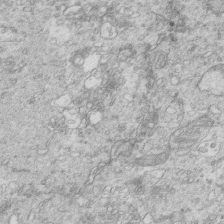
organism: Mouse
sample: Multiciliated cells